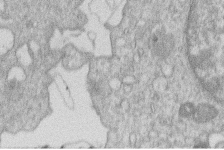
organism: Human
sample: Macrophage cells